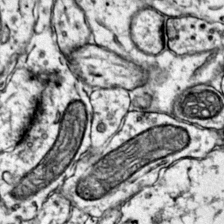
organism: Mouse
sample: Primary visual cortex